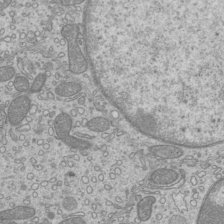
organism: Mouse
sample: Cilia; mouse epididymis